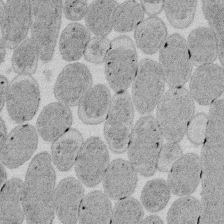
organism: E. coli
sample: Bacterial nucleoid